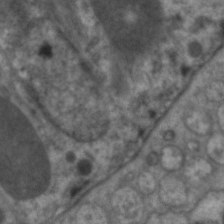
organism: C. elegans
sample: Pharynx